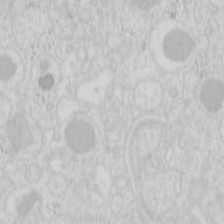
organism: Mouse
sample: Pancreas